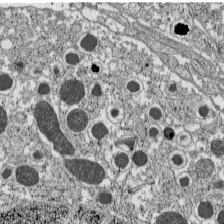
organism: C57BL Mouse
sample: Pancreatic islet